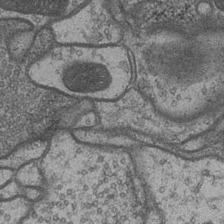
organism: Drosophila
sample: Optic medulla